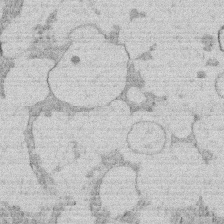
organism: Rat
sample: Salivary granule